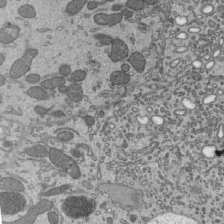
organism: Mouse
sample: Mouse epididymis efferent ductule cilia